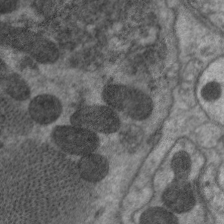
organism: C. elegans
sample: Pharynx